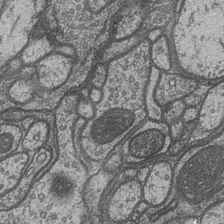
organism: Drosophila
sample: Optic medulla